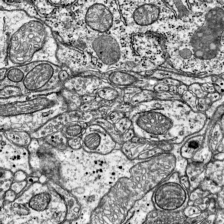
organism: Mouse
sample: Visual Cortex